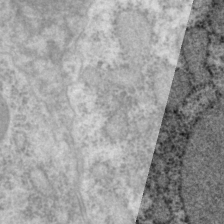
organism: P. pacificus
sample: Pharynx